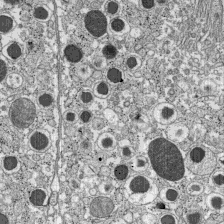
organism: C57BL Mouse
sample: Pancreatic islet